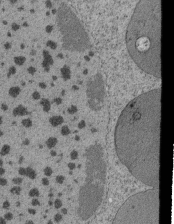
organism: Tetrahymena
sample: Cilia in tetrahymena